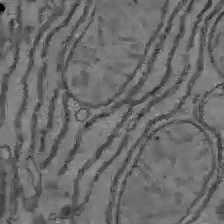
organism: C57BL Mouse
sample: Liver